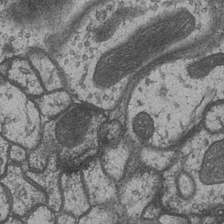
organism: Drosophila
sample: Optic medulla